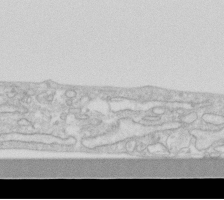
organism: Human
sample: Fibroblast cells